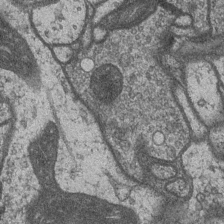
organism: Drosophila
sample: Optic medulla